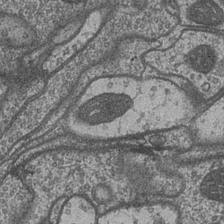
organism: Drosophila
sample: Optic medulla